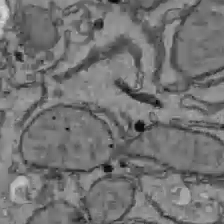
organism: C57BL Mouse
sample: Liver